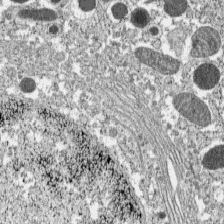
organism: C57BL Mouse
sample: Pancreatic islet